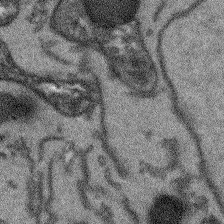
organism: Arabidopsis thaliana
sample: Root tip